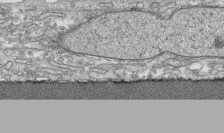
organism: Human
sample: CRL-1474